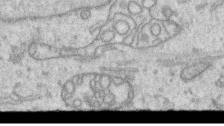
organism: Human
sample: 1205lu cells